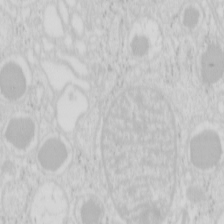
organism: Mouse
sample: Pancreas